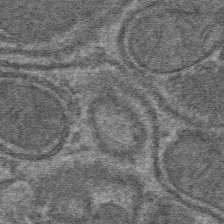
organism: Mouse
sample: Mouse hepatocytes